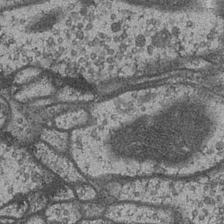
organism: Drosophila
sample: Optic medulla